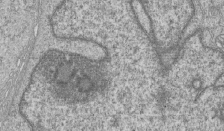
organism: Human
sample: MDA-MB-231 cells